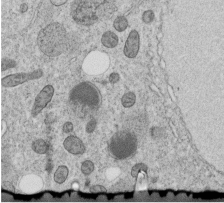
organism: C. elegans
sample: C. elegans embryo early stage